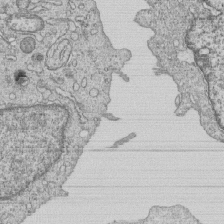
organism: Human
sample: MDA-MB-231 cells